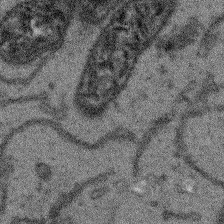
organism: Arabidopsis thaliana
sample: Root tip